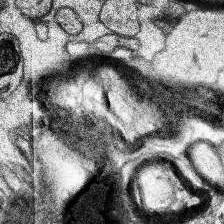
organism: Human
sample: Temporal Lobe